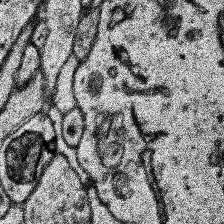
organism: Human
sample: Temporal Lobe